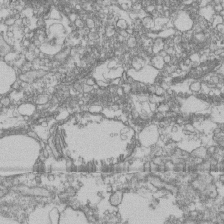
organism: Human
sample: Fibroblast cells